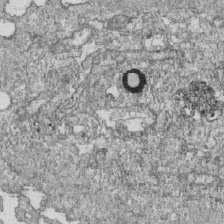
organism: Human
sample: HeLa cell HIV synapse